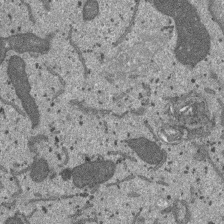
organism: Human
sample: Lung epithelial cells infected with SARS-CoV-2